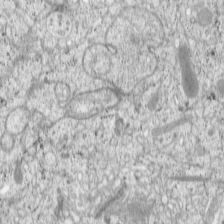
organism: African green monkey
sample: COS-7 cells